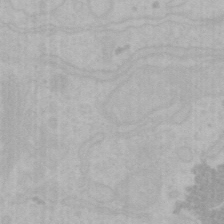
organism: Mouse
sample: Choroid plexus